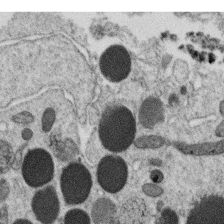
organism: C. elegans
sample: C. elegans oocyte; sperm cells